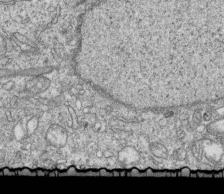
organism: Human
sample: HeLa cell HIV synapse